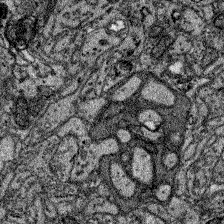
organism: Zebrafish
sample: Larval olfactory bulb